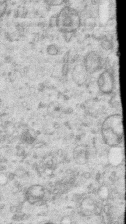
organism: Human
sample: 1205lu cells